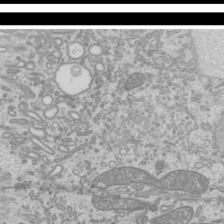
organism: Mouse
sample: Cilia; mouse epididymis